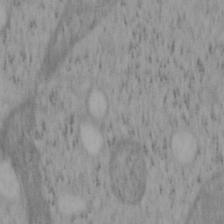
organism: Mouse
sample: OT-I killer T cells with ID8 ovarian cancer cells